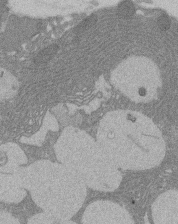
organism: Rat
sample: Salivary granule